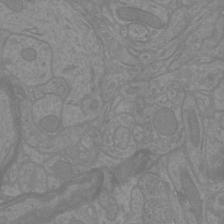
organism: Mouse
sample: Cortical neurons